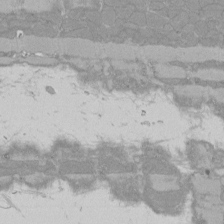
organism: Rat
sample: Left ventricle